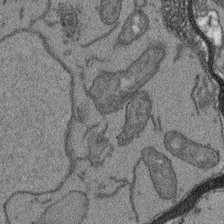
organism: Arabidopsis thaliana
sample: Root tip